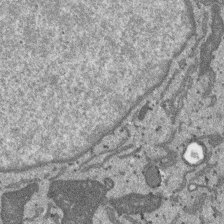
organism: Human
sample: Lung epithelial cells infected with SARS-CoV-2